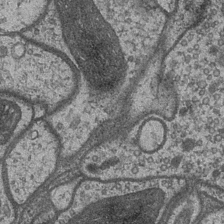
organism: Drosophila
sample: Optic medulla